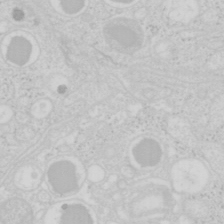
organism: Mouse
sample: Pancreas